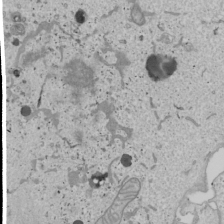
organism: Human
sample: Mitochondria in U2OS cells